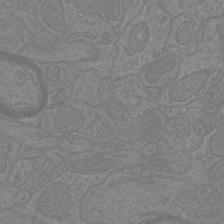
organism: Mouse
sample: Cortical neurons